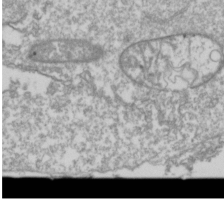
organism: Drosophila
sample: Cell division; meiosis; drosophila spermatocytes